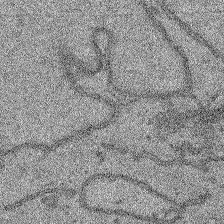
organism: Human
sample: HeLa cells